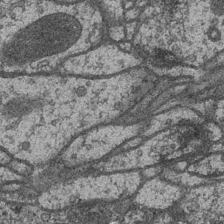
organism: Drosophila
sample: Optic medulla